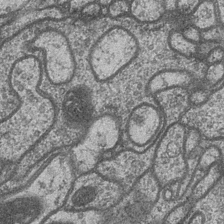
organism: Drosophila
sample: Optic medulla